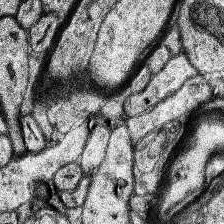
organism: Human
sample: Temporal Lobe